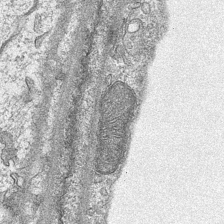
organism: Mouse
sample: CA1 Hippocampus